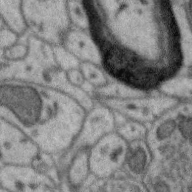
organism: Zebra finch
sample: Brain